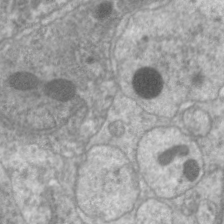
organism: C. elegans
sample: Pharynx